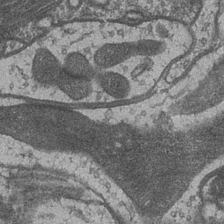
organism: Drosophila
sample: Optic medulla